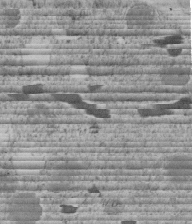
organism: C. elegans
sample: C. elegans embryo early stage